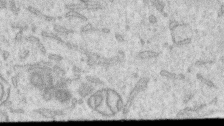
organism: Human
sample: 1205lu cells